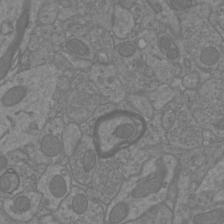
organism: Mouse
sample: Cortical neurons